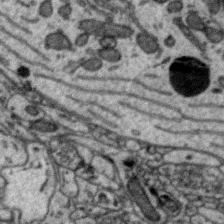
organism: Zebra finch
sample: Brain